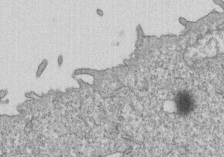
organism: Human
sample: HeLa cell HIV synapse